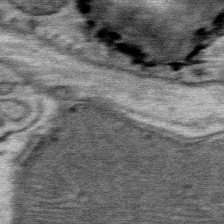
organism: Mouse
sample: Mouse Salivary gland